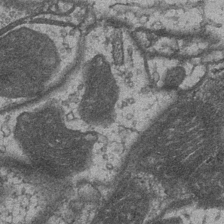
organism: Drosophila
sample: Optic medulla